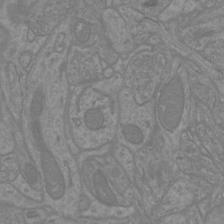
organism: Mouse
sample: Cortical neurons